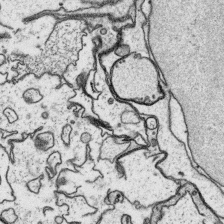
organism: Platynereis dumerilii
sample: Parapodia